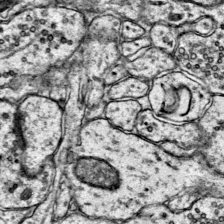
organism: Mouse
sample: Primary visual cortex